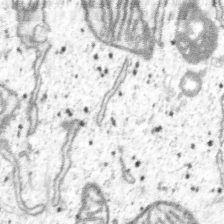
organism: Human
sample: HeLa cells